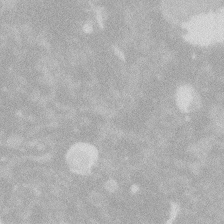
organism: Zebrafish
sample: Macrophage